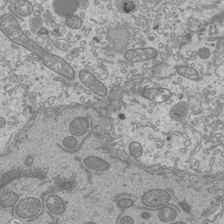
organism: Mouse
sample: Cilia; mouse epididymis